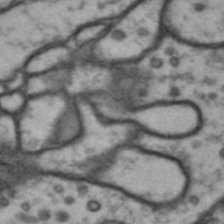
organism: Drosophila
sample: Brain